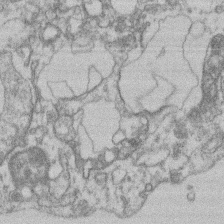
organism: Mouse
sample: T cell stromal cell synapse